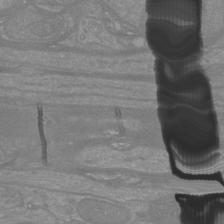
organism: Mouse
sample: Cortical neurons